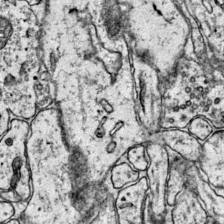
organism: Mouse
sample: Primary visual cortex